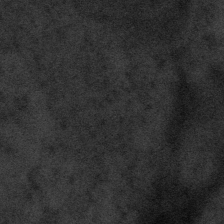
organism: Tuwongella immobilis